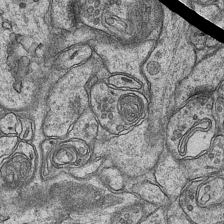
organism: Mouse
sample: CA1 Hippocampus